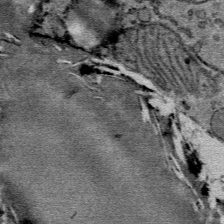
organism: Mouse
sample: Mouse Salivary gland